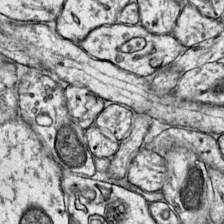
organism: Mouse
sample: Primary visual cortex